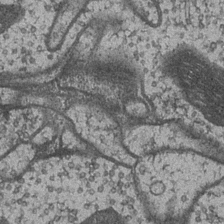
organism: Drosophila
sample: Optic medulla